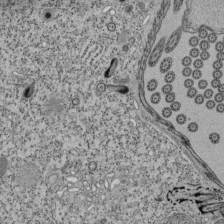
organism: Tetrahymena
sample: Cilia in tetrahymena